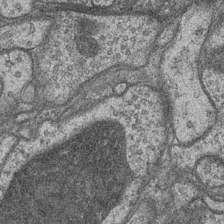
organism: Drosophila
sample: Optic medulla